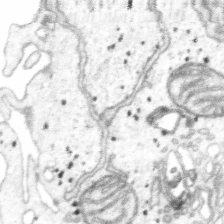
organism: Human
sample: HeLa cells